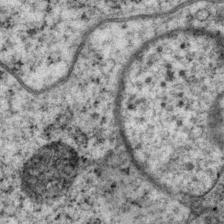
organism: P. pacificus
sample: Pharynx